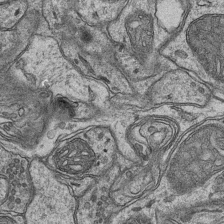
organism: Mouse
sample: CA1 Hippocampus